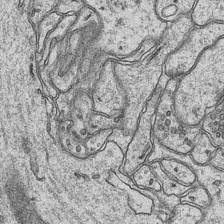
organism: Mouse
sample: CA1 Hippocampus